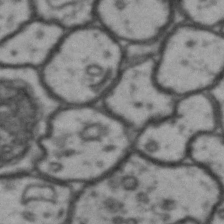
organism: Drosophila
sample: Brain